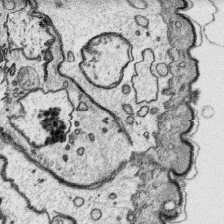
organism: Platynereis dumerilii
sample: Parapodia